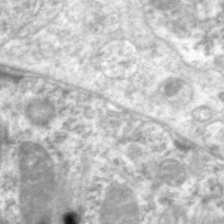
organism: C. elegans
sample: Pharynx